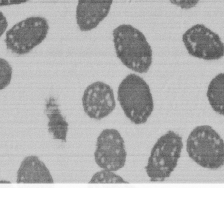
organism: E. coli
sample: Bacterial nucleoid